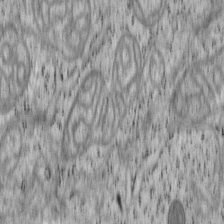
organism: Human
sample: HeLa cells